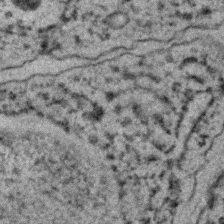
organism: C. elegans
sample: C. elegans embryo